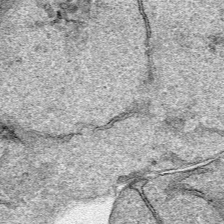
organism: Human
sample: Mitochondria in HCT116 cells